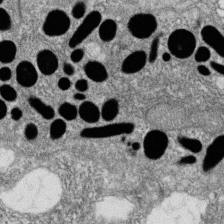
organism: Zebrafish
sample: Cilia; retinal pigment epithelium